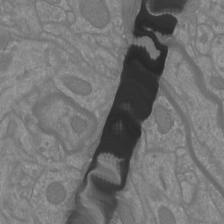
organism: Mouse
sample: Cortical neurons